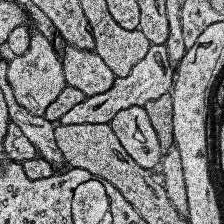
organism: Human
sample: Temporal Lobe